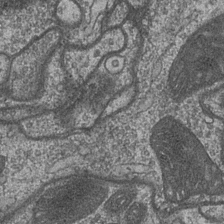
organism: Drosophila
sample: Optic medulla